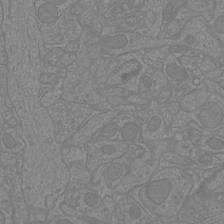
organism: Mouse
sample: Cortical neurons